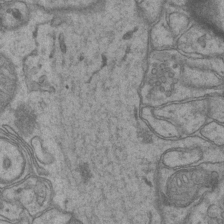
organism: Mouse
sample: CA1 Hippocampus